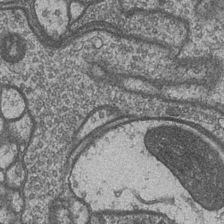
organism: Drosophila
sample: Optic medulla